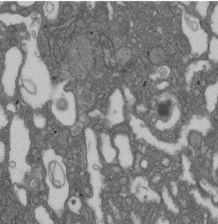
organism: Drosophila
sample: Nephrocyte